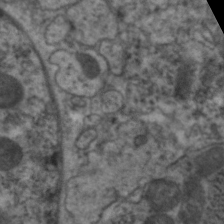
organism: C. elegans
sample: Pharynx